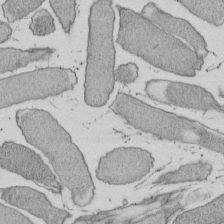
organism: E. coli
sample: Bacterial nucleoid